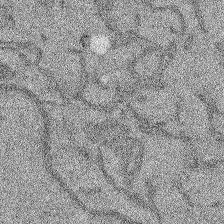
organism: Human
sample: HeLa cells